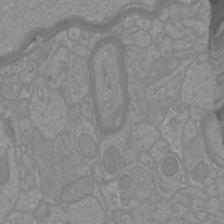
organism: Mouse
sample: Cortical neurons